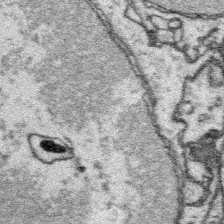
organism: Platynereis dumerilii